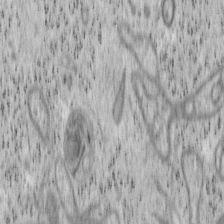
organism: Human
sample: HeLa cells